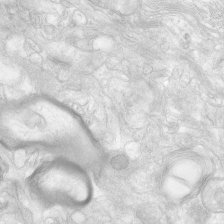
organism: Human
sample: Neocortex